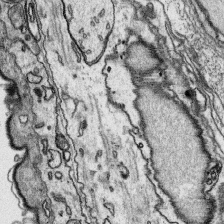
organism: Platynereis dumerilii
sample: Parapodia